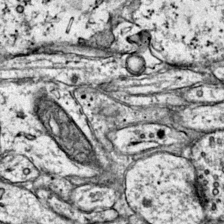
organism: Mouse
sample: Primary visual cortex